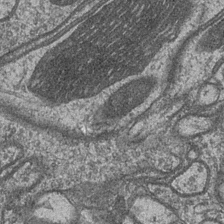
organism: Drosophila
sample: Optic medulla